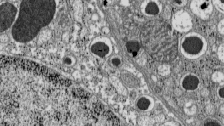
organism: C57BL Mouse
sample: Pancreatic islet